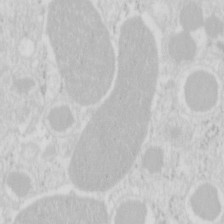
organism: Mouse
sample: Pancreas